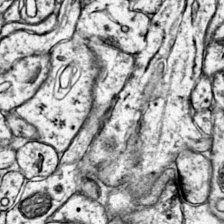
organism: Mouse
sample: Primary visual cortex